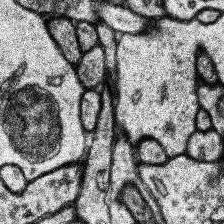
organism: Human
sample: Temporal Lobe